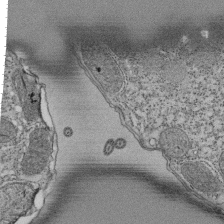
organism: Tetrahymena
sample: Cilia in tetrahymena